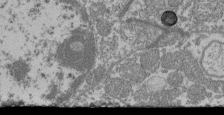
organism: Mouse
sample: Glomerulus